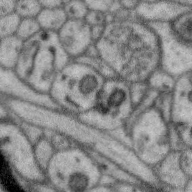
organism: Zebra finch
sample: Brain